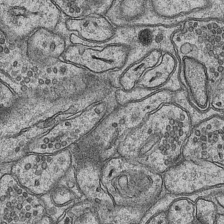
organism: Mouse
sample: CA1 Hippocampus